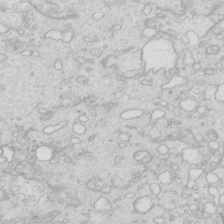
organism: Mouse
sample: Multiciliated cells